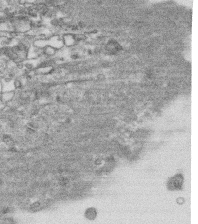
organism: Human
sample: CRL-1474